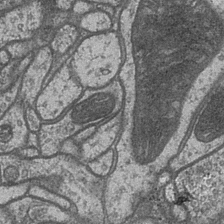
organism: Drosophila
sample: Optic medulla